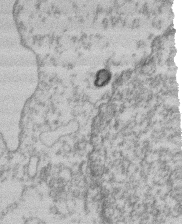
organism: Mouse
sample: T cell stromal cell synapse